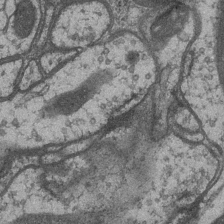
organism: Drosophila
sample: Optic medulla